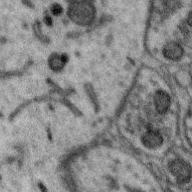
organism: Zebra finch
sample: Brain